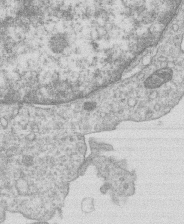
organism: Human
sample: Macrophage cells